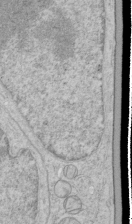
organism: Human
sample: Mitochondria in HCT116 cells